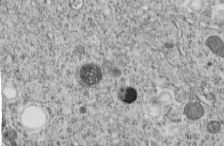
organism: C. elegans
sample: C. elegans embryo early stage